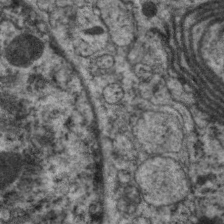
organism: C. elegans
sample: Pharynx